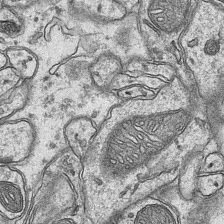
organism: Mouse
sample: CA1 Hippocampus